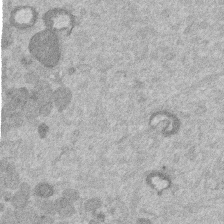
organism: Mouse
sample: Dividing mouse embryo 1 cell stage